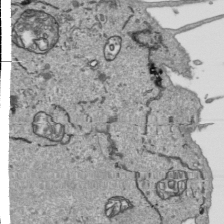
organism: Human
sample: Mitochondria in HCT116 cells